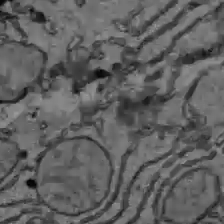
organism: C57BL Mouse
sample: Liver